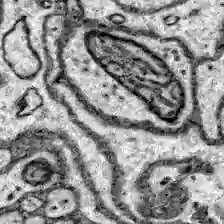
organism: Zebrafish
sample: Brain